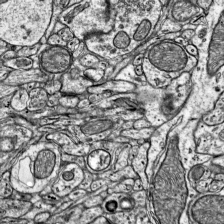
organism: Mouse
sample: Visual Cortex